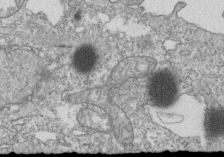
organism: Human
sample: HeLa cell HIV synapse